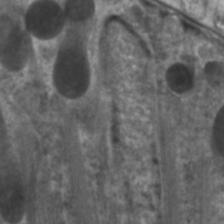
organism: C. elegans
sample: Pharynx